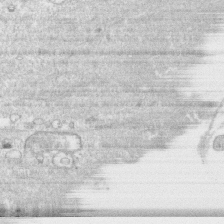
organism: Human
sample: CRL-1474